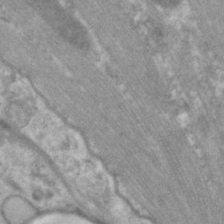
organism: C. elegans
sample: Pharynx